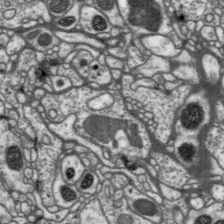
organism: Drosophila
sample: Protocerebral bridge